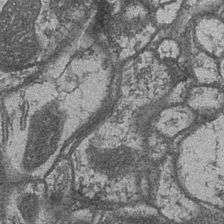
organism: Drosophila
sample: Optic medulla